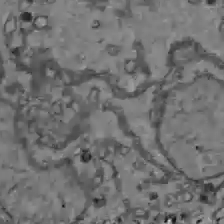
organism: C57BL Mouse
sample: Liver